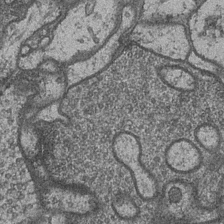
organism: Drosophila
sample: Optic medulla